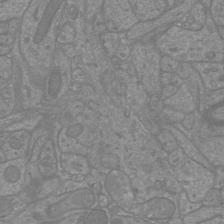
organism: Mouse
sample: Cortical neurons